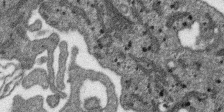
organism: Human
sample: Lung epithelial cells infected with SARS-CoV-2